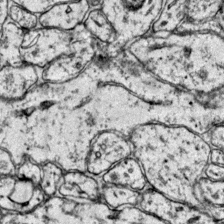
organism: Mouse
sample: Primary visual cortex